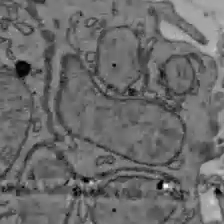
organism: C57BL Mouse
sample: Liver